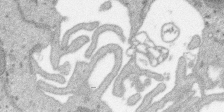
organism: Human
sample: Lung epithelial cells infected with SARS-CoV-2